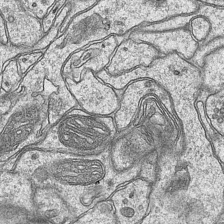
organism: Mouse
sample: CA1 Hippocampus